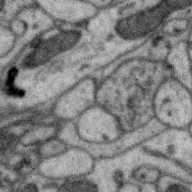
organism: Zebra finch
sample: Brain